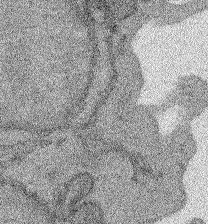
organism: Human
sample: HeLa cells